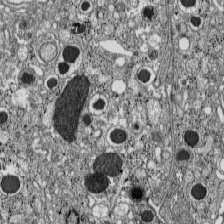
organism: C57BL Mouse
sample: Pancreatic islet